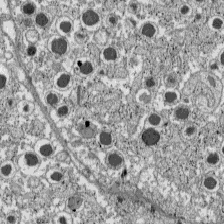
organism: C57BL Mouse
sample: Pancreatic islet